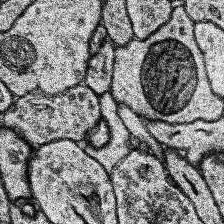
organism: Human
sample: Temporal Lobe